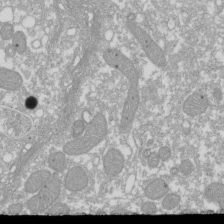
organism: Xenopus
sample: Cilia; centrioles in frog embryo cells